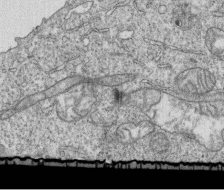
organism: Human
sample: HeLa cell HIV synapse